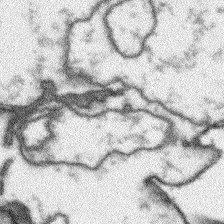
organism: Arabidopsis thaliana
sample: Root tip